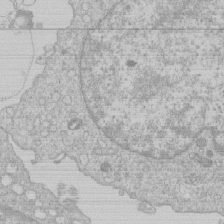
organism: Human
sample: Macrophage cells